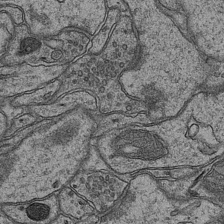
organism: Mouse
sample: CA1 Hippocampus